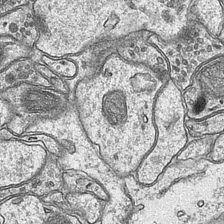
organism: Mouse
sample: CA1 Hippocampus